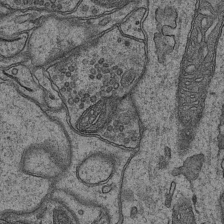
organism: Mouse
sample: CA1 Hippocampus